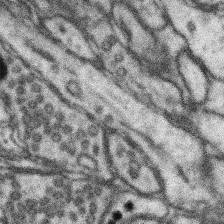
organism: Mouse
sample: Somatosensory cortex neuropil